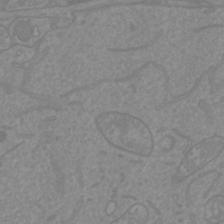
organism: Mouse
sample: Cortical neurons